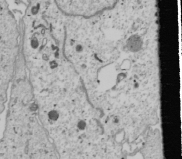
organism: Human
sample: Mitochondria in U2OS cells